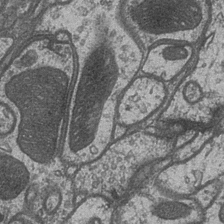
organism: Drosophila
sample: Optic medulla